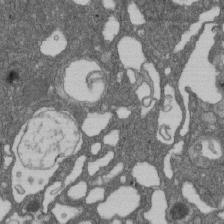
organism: Drosophila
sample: Nephrocyte